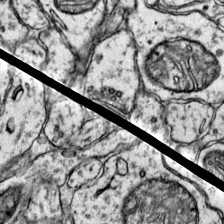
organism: Mouse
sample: Primary visual cortex